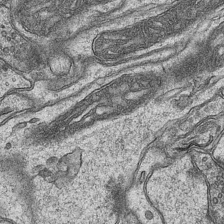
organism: Mouse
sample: CA1 Hippocampus